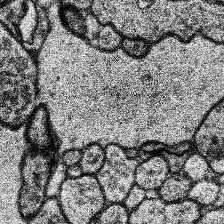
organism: Human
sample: Temporal Lobe